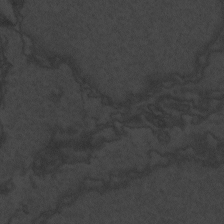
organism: Zebrafish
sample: Macrophage infected with Toxoplasma gondii